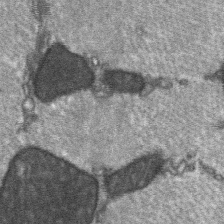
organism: C57BL Mouse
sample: Soleus